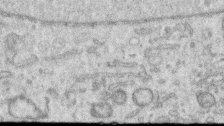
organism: Human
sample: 1205lu cells